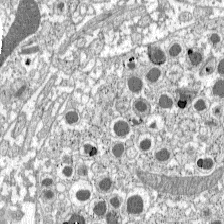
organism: C57BL Mouse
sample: Pancreatic islet